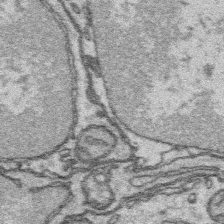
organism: Platynereis dumerilii